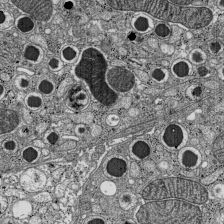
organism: C57BL Mouse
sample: Pancreatic islet